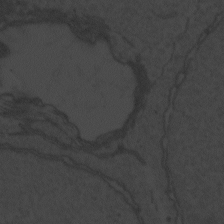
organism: Zebrafish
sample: Macrophage infected with Toxoplasma gondii